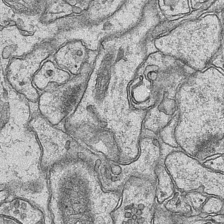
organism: Mouse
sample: CA1 Hippocampus